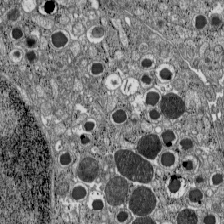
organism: C57BL Mouse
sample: Pancreatic islet